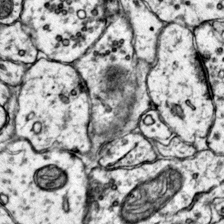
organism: Mouse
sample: Primary visual cortex